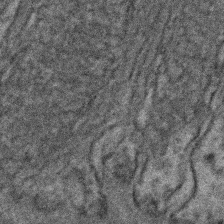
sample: Kidney